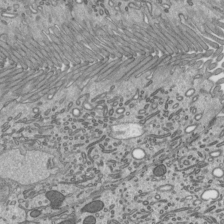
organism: Mouse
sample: Mouse epididymis efferent ductule cilia